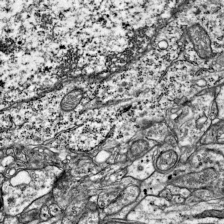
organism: Mouse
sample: Visual Cortex